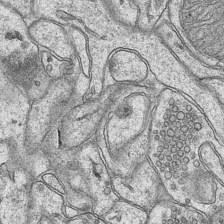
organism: Mouse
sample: CA1 Hippocampus